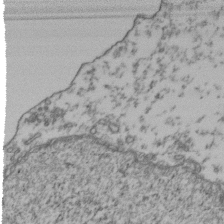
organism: Human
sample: Activated Jurkat CD4+ T cells